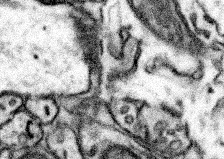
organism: Mouse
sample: Somatosensory cortex neuropil